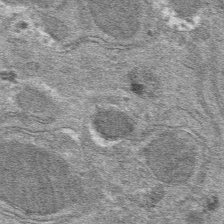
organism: Mouse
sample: Mouse hepatocytes